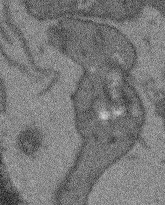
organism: Arabidopsis thaliana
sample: Root tip